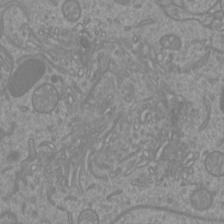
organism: Mouse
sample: Cortical neurons